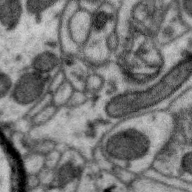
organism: Zebra finch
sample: Brain